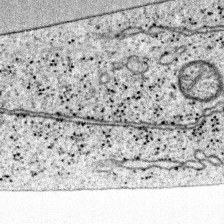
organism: Human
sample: HeLa cells